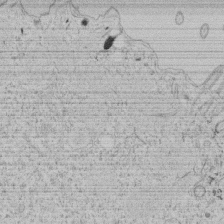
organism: Tetrahymena